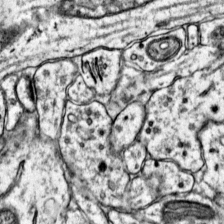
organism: Mouse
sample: Primary visual cortex